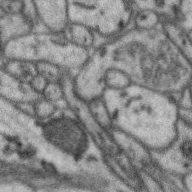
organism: Zebra finch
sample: Brain